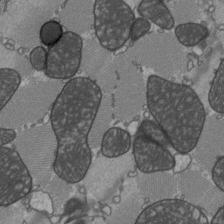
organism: C57BL Mouse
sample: Heart